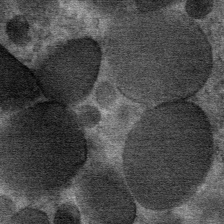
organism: Mouse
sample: Mouse Salivary gland